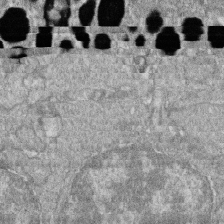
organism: Zebrafish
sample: Cilia; retinal pigment epithelium